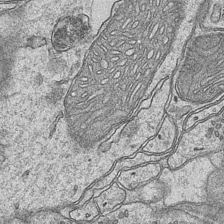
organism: Mouse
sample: CA1 Hippocampus